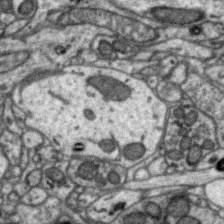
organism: Zebra finch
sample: Brain